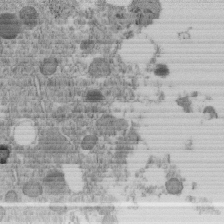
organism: C. elegans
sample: C. elegans embryo early stage